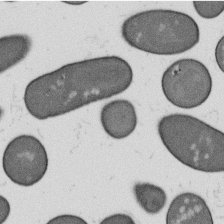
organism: B. subtilis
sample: Bacterial spore